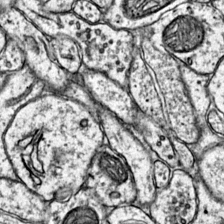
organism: Mouse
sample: Primary visual cortex